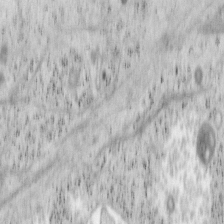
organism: Human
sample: HeLa cells